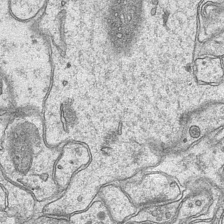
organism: Mouse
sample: CA1 Hippocampus